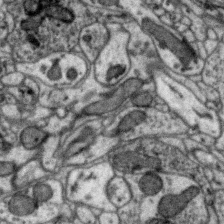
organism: Zebra finch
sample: Brain